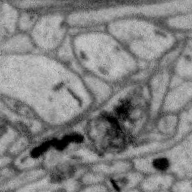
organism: Zebra finch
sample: Brain